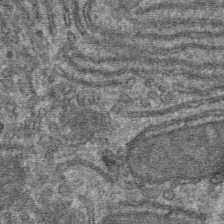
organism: Mouse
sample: Mouse hepatocytes